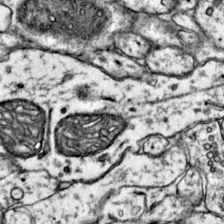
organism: Mouse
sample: Primary visual cortex